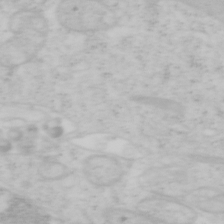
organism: Mouse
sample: OT-I killer T cells with ID8 ovarian cancer cells